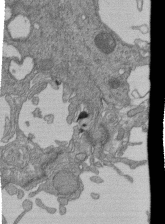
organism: Human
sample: Retinal organoid Rod and Cone cells